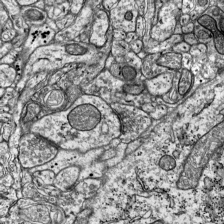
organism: Mouse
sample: Visual Cortex